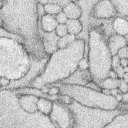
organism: Rabbit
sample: Retina